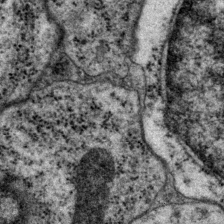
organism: P. pacificus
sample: Pharynx